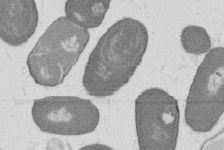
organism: B. subtilis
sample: Bacterial spore